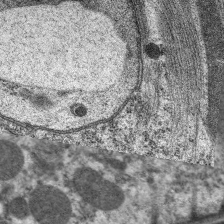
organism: C. elegans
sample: Pharynx